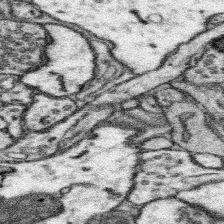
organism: Mouse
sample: Somatosensory cortex neuropil